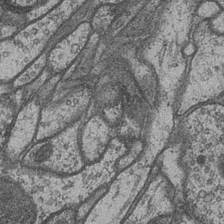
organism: Drosophila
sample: Optic medulla